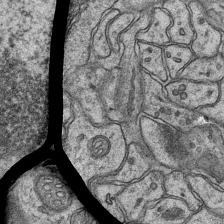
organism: Mouse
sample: CA1 Hippocampus